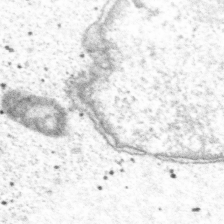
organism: Human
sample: HeLa cells